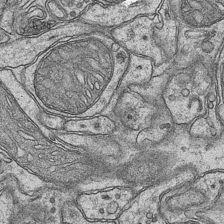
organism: Mouse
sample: CA1 Hippocampus